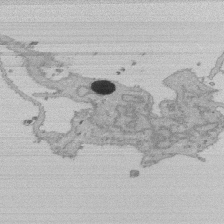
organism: Human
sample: Activated Jurkat CD4+ T cells